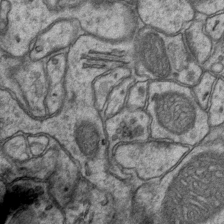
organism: Mouse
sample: CA1 Hippocampus